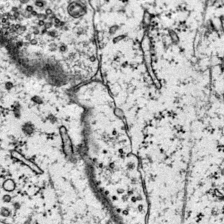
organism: Mouse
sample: Primary visual cortex